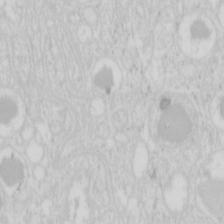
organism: Mouse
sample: Pancreas